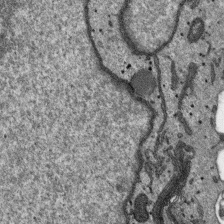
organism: Human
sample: Lung epithelial cells, uninfected (mock) control